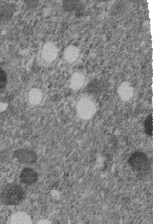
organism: C. elegans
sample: C. elegans embryo early stage